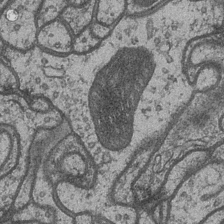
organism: Drosophila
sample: Optic medulla